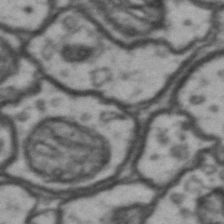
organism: Drosophila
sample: Brain